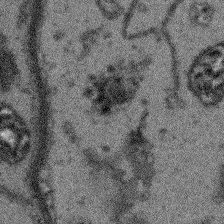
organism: Arabidopsis thaliana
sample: Root tip